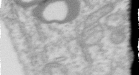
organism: Human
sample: Centriole in RPE cells